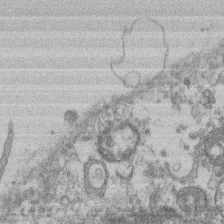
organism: Mouse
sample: T cell stromal cell synapse